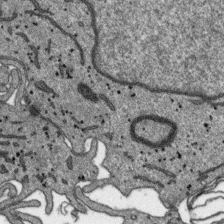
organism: Human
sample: Lung epithelial cells, uninfected (mock) control